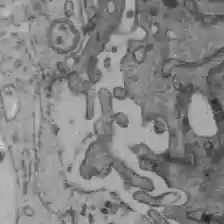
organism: C57BL Mouse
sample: Liver